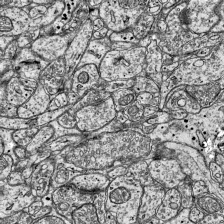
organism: Mouse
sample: Visual Cortex